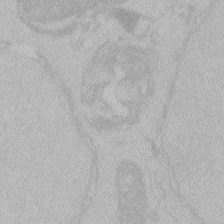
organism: Zebrafish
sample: Macrophage infected with Toxoplasma gondii